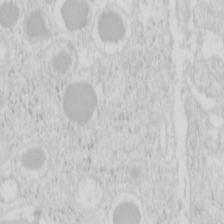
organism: Mouse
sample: Pancreas